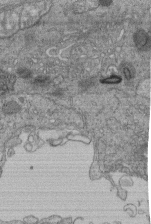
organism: Human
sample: Retinal organoid Rod and Cone cells